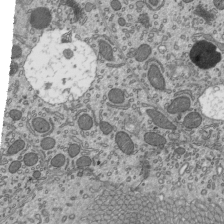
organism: Mouse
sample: Mouse epididymis efferent ductule cilia